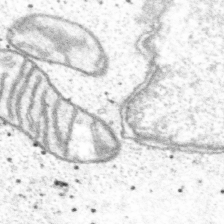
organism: Human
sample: HeLa cells